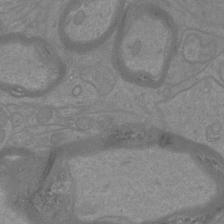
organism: Mouse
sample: Cortical neurons